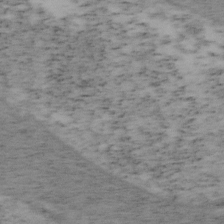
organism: Mouse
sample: OT-I killer T cells with ID8 ovarian cancer cells